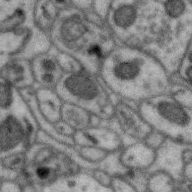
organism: Zebra finch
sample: Brain